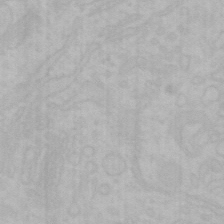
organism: Mouse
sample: Choroid plexus